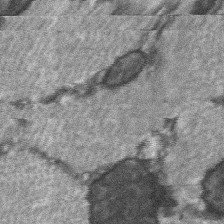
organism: C57BL Mouse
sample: Soleus